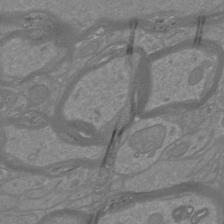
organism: Mouse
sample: Cortical neurons